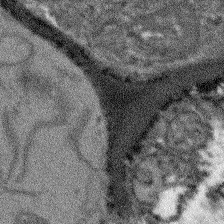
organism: Arabidopsis thaliana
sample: Root tip